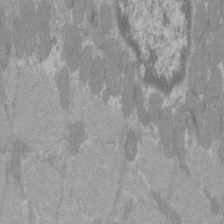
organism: C57BL Mouse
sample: Tibialis anterior muscle cell